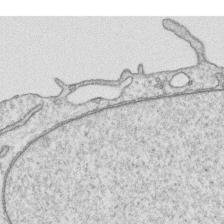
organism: Human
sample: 1205lu cells